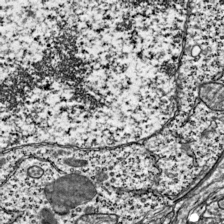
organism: Mouse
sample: Visual Cortex